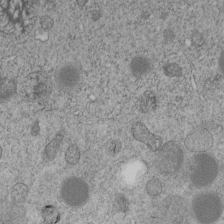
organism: C. elegans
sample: C. elegans embryo early stage